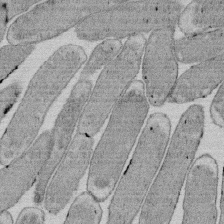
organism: E. coli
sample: Bacterial nucleoid